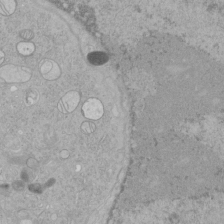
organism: Human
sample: Mitochondria in HCT116 cells